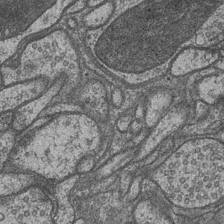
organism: Drosophila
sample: Optic medulla